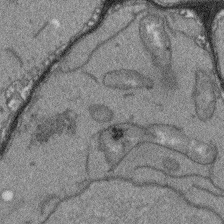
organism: Arabidopsis thaliana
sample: Root tip